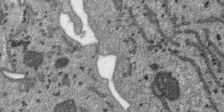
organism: Human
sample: Lung epithelial cells infected with SARS-CoV-2